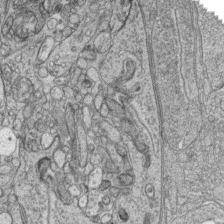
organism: Zebrafish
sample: synaptic ribbons in rod cells and cone cells